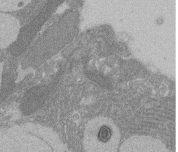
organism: Rat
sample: Salivary granule